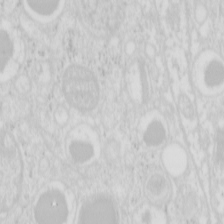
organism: Mouse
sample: Pancreas